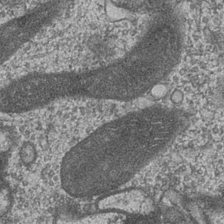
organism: Drosophila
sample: Optic medulla